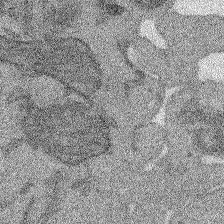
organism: Human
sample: HeLa cells